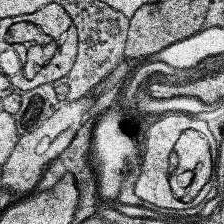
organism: Human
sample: Temporal Lobe